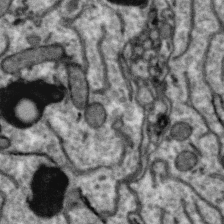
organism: Zebra finch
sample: Brain